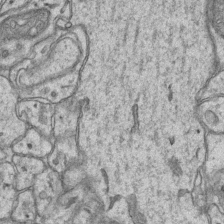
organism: Mouse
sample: CA1 Hippocampus